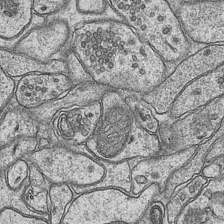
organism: Mouse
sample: CA1 Hippocampus